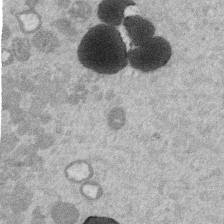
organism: Mouse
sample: Dividing mouse embryo 1 cell stage